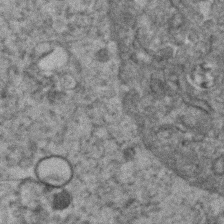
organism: Human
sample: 1205lu cells